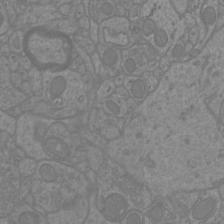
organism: Mouse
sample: Cortical neurons